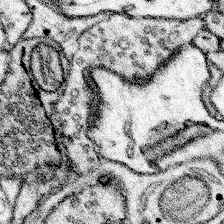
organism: Mouse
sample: Somatosensory cortex neuropil